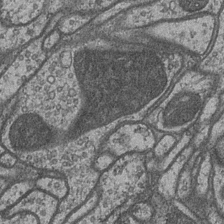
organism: Drosophila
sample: Optic medulla